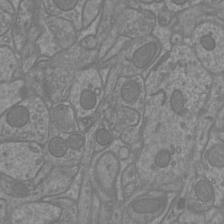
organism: Mouse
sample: Cortical neurons